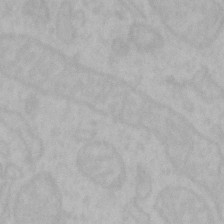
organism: Mouse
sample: Choroid plexus